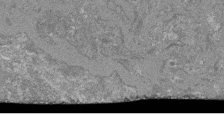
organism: Mouse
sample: Glomerulus